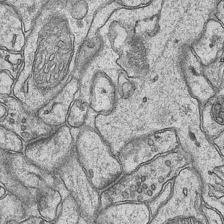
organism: Mouse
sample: CA1 Hippocampus